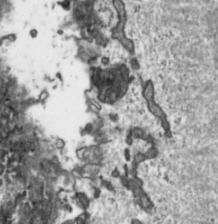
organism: Toxoplasma gondii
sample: Parasites in a vacuole inside a host cell